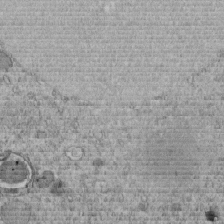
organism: C. elegans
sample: C. elegans embryo early stage